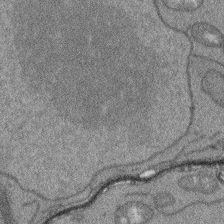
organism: Arabidopsis thaliana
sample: Root tip